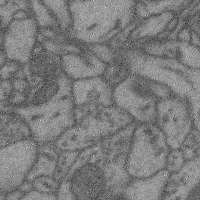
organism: Mouse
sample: Cerebral cortex